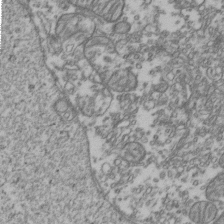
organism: Human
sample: Activated Jurkat CD4+ T cells